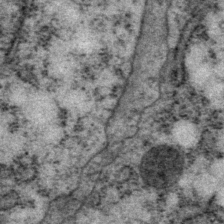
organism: P. pacificus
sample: Pharynx